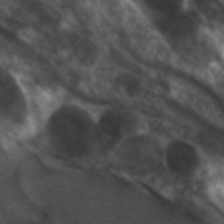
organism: C. elegans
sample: Pharynx